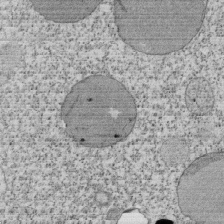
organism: Tetrahymena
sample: Cilia in tetrahymena